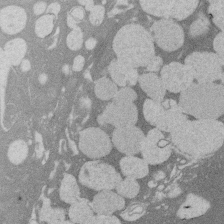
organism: Rat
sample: Salivary granule